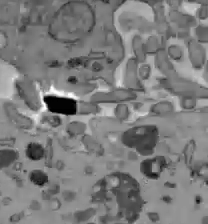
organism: C57BL Mouse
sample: Liver